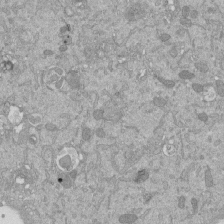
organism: Mouse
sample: ED-1 cell nuclei; centrioles